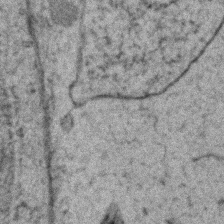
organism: Zebrafish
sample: Zebrafish embryo